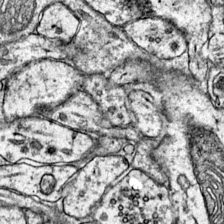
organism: Mouse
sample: Primary visual cortex